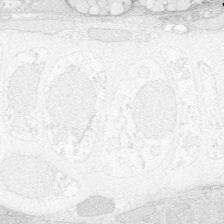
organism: Zebrafish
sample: Whole-Brain